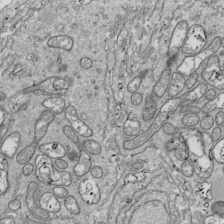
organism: Drosophila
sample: Cell division; meiosis; drosophila spermatocytes